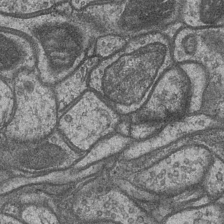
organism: Drosophila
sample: Optic medulla